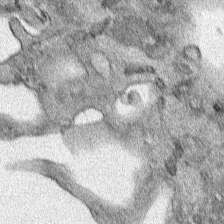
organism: Human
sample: Mitochondria in HCT116 cells